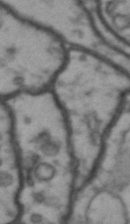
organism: Drosophila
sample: Brain